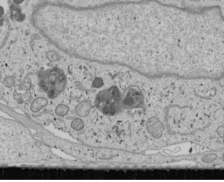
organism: Human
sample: Mitochondria in U2OS cells